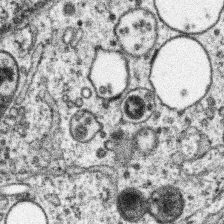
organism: Human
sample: HeLa cells